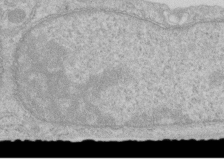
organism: Human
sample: Centriole in RPE cells